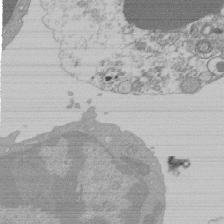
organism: Mouse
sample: Activated Pmel transgenic CD8+ T Cells